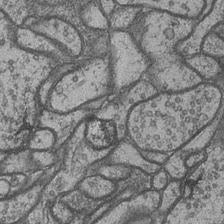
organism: Drosophila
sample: Optic medulla